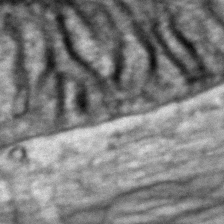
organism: Zebrafish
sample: Zebrafish embryo